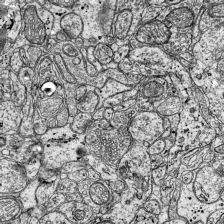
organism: Mouse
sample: Visual Cortex